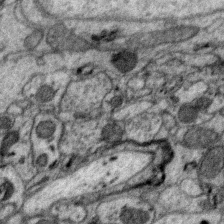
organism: Zebra finch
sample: Brain